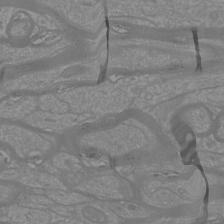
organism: Mouse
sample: Cortical neurons